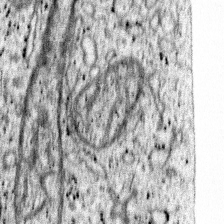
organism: Human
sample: HeLa cells